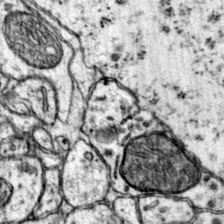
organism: Mouse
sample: Primary visual cortex